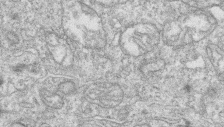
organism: Human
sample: HeLa cell HIV synapse